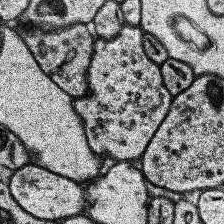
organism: Human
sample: Temporal Lobe